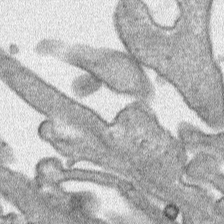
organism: Human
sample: Mitochondria in HCT116 cells